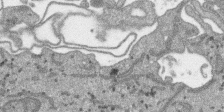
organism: Human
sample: Lung epithelial cells infected with SARS-CoV-2